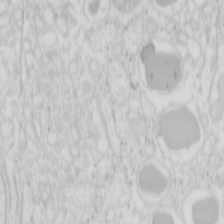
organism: Mouse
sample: Pancreas